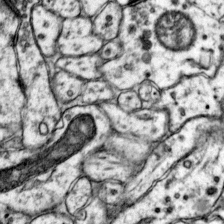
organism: Mouse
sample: Primary visual cortex